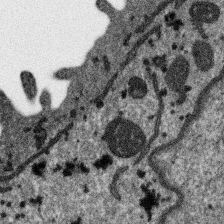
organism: Human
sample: Lung epithelial cells infected with SARS-CoV-2